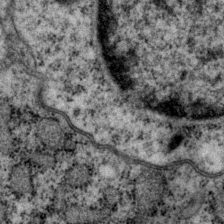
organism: P. pacificus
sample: Pharynx